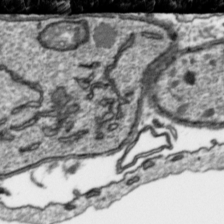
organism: Toxoplasma gondii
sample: Parasites in a vacuole inside a host cell